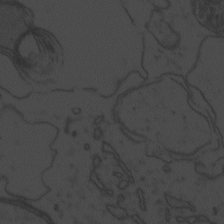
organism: Zebrafish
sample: Macrophage infected with Toxoplasma gondii